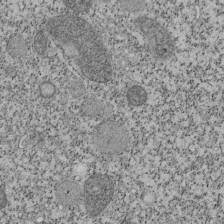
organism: Tetrahymena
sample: Cilia in tetrahymena